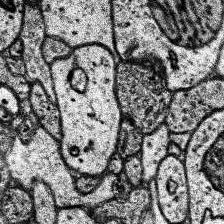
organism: Human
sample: Temporal Lobe